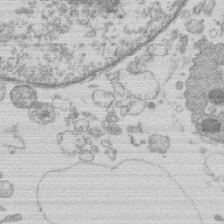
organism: Human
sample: Macrophage cells